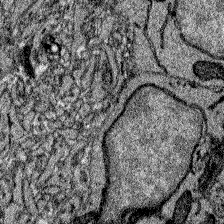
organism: Zebrafish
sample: Larval olfactory bulb